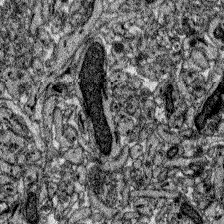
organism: Zebrafish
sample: Larval olfactory bulb